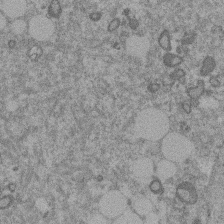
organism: Mouse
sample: Dividing mouse embryo 1 cell stage